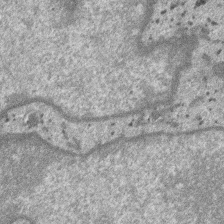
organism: Human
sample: Lung epithelial cells infected with SARS-CoV-2